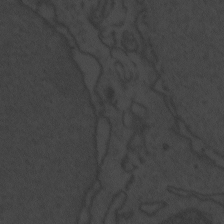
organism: Zebrafish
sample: Macrophage infected with Toxoplasma gondii